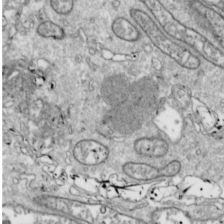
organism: Drosophila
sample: Cell division; meiosis; drosophila spermatocytes